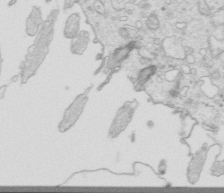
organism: Mouse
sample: Multiciliated cells